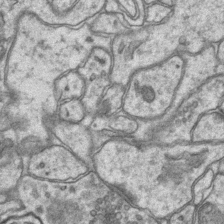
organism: Mouse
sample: CA1 Hippocampus